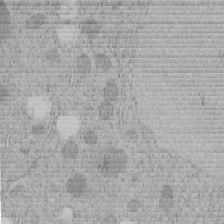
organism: C. elegans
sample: C. elegans embryo early stage